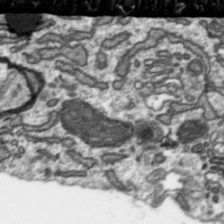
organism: Toxoplasma gondii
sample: Parasites in a vacuole inside a host cell